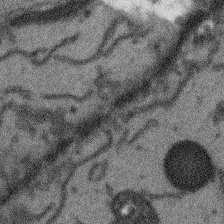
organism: Arabidopsis thaliana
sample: Root tip